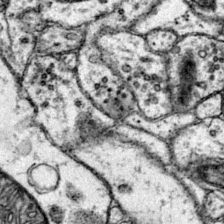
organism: Mouse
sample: Primary visual cortex